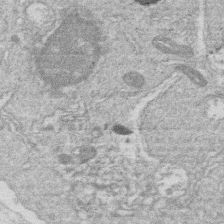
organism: Human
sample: Macrophage cells